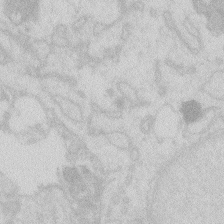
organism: Zebrafish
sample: Macrophage